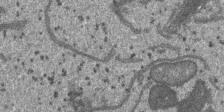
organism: Human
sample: Lung epithelial cells infected with SARS-CoV-2